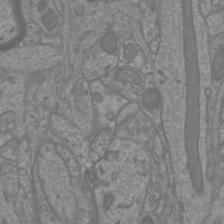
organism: Mouse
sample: Cortical neurons